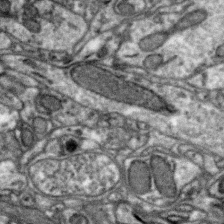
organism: Zebra finch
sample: Brain